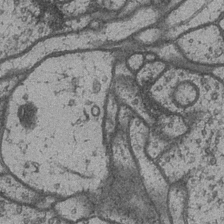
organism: Drosophila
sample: Optic medulla